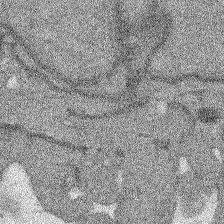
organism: Human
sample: HeLa cells